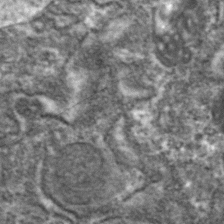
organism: Zebrafish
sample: Zebrafish embryo